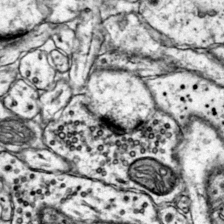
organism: Mouse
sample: Primary visual cortex